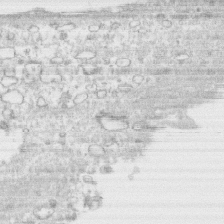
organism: Human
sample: CRL-1474